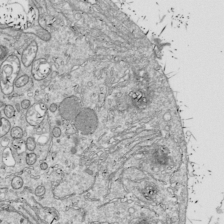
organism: Drosophila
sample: Cell division; meiosis; drosophila spermatocytes